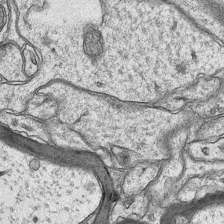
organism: Mouse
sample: CA1 Hippocampus